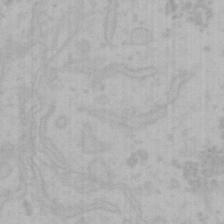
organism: Mouse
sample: Choroid plexus